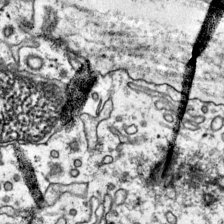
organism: Mouse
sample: Primary visual cortex